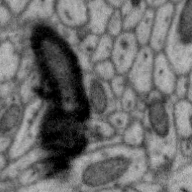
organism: Zebra finch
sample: Brain